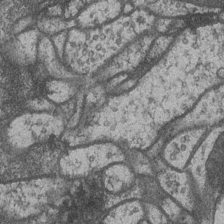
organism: Drosophila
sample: Optic medulla